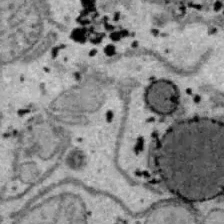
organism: Mouse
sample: Liver from an obese (ob/ob) mouse